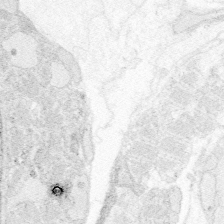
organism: Zebrafish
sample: Whole-Brain